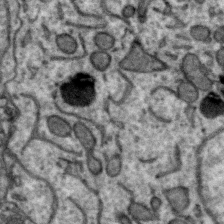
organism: Zebra finch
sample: Brain